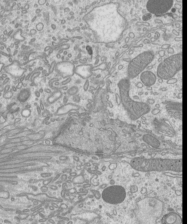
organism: Mouse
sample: Cilia; mouse epididymis